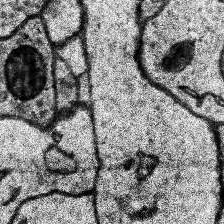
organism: Human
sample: Temporal Lobe